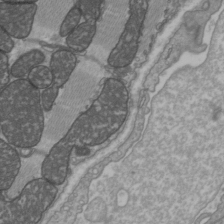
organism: C57BL Mouse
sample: Heart